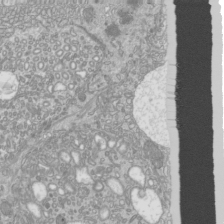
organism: Mouse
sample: Cilia; mouse epididymis